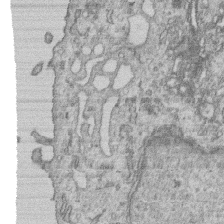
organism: Human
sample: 1205lu cells